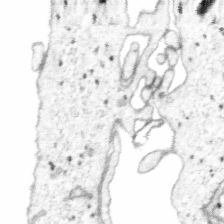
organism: Human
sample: HeLa cells